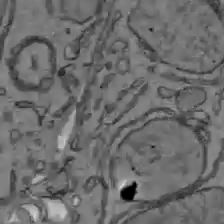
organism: C57BL Mouse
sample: Liver